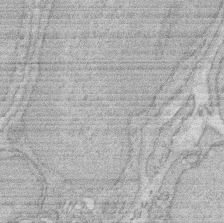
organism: Rat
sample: Salivary granule